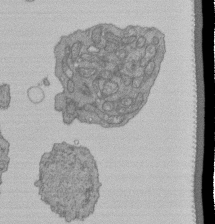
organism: Human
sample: Retinal organoid Rod and Cone cells